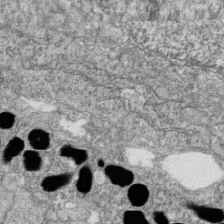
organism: Zebrafish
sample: Cilia; retinal pigment epithelium